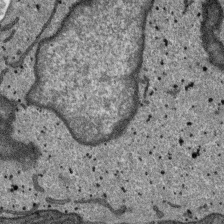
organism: Human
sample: Lung epithelial cells, uninfected (mock) control